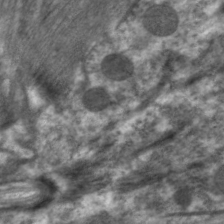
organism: C. elegans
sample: Pharynx